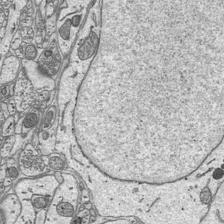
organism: Mouse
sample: Suprachiasmatic nucleus